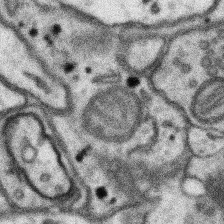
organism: Mouse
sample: Somatosensory cortex neuropil